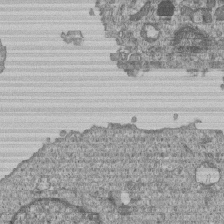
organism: Human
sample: MDA-MB-231 cells